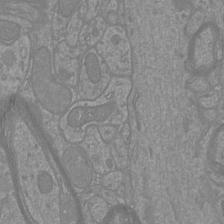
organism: Mouse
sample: Cortical neurons